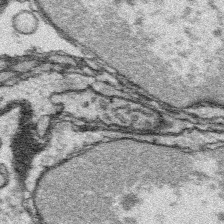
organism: Platynereis dumerilii